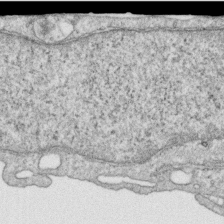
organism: Human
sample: Centriole in RPE cells